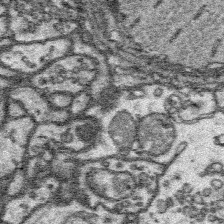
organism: Platynereis dumerilii